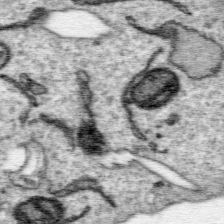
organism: Human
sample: HeLa cells